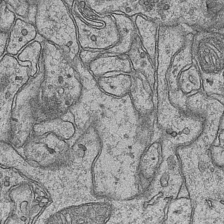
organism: Mouse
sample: CA1 Hippocampus